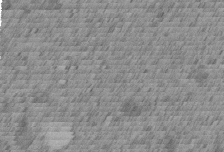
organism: C. elegans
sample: C. elegans embryo early stage